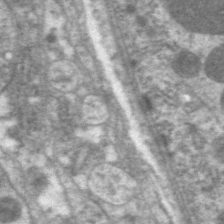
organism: C. elegans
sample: Pharynx